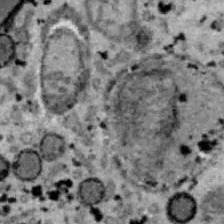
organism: Mouse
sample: Liver from an obese (ob/ob) mouse